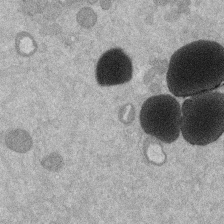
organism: Mouse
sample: Dividing mouse embryo 1 cell stage